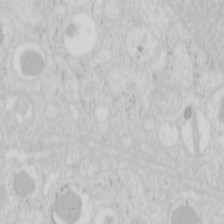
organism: Mouse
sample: Pancreas